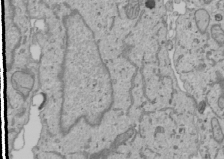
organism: Human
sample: Mitochondria in U2OS cells